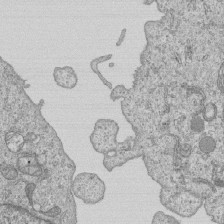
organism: Human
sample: MDA-MB-231 cells